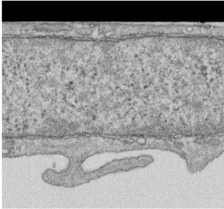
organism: Human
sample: Centriole in RPE cells